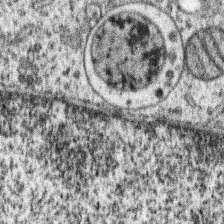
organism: Human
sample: HeLa cells